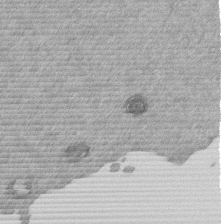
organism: Mouse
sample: Dividing mouse embryo 1 cell stage